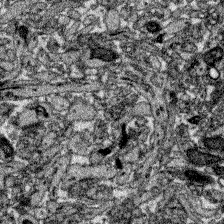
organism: Zebrafish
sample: Larval olfactory bulb